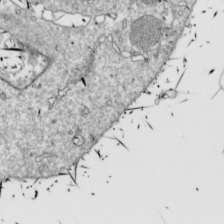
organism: Drosophila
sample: Cell division; meiosis; drosophila spermatocytes